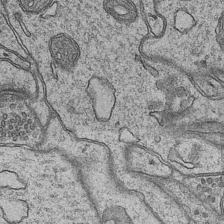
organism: Mouse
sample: CA1 Hippocampus